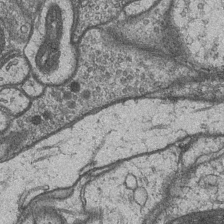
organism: Drosophila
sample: Optic medulla